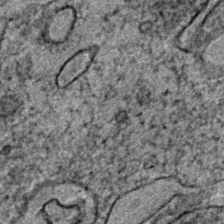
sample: Trachea